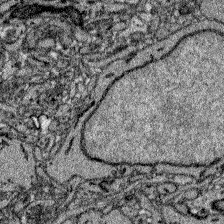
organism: Zebrafish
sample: Larval olfactory bulb